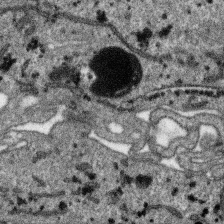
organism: Human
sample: Lung epithelial cells infected with SARS-CoV-2